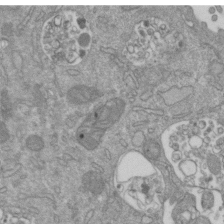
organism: Mouse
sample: ED-1 cell nuclei; centrioles